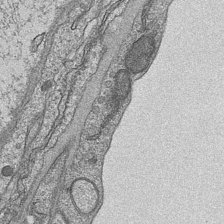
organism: Mouse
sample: CA1 Hippocampus